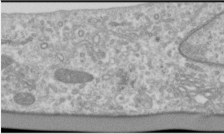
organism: Human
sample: Cilia; basal body in RPE cells